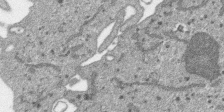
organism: Human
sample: Lung epithelial cells infected with SARS-CoV-2